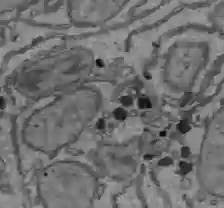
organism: C57BL Mouse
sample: Liver